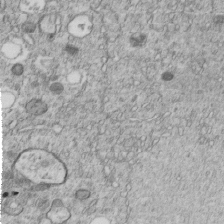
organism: C. elegans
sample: C. elegans embryo early stage